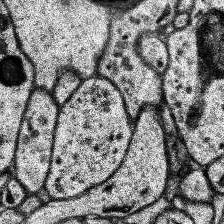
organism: Human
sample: Temporal Lobe